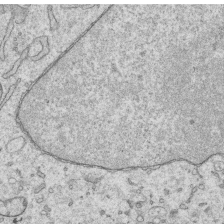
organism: Human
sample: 1205lu cells